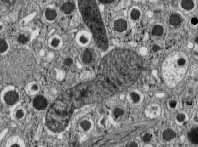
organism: C57BL Mouse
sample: Pancreatic islet